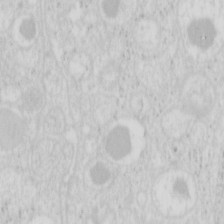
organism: Mouse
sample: Pancreas